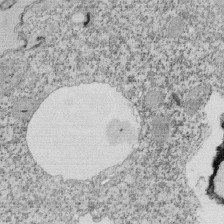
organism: Tetrahymena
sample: Cilia in tetrahymena